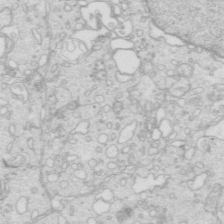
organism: Mouse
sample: Multiciliated cells